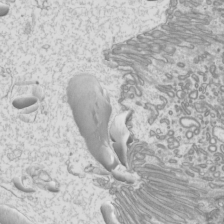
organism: Mouse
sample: Cilia; mouse epididymis